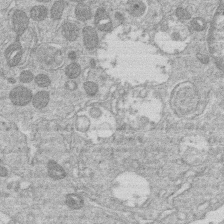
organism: Human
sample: Macrophage cells